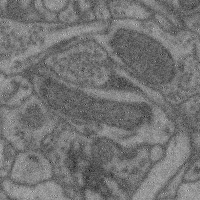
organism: Mouse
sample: Cerebral cortex